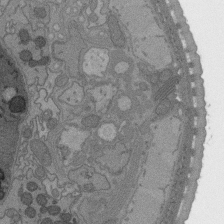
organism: C. elegans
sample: AFD neurons C. elegans